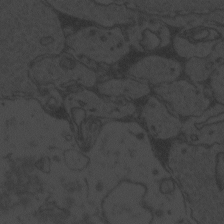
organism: Zebrafish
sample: Macrophage infected with Toxoplasma gondii